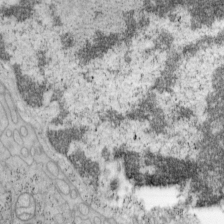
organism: Mouse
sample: OT-I killer T cells with ID8 ovarian cancer cells